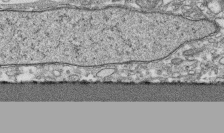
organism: Human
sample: CRL-1474